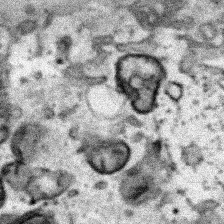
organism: Human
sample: Mitochondria in HCT116 cells